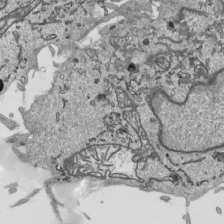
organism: Human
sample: Mitochondria in HCT116 cells